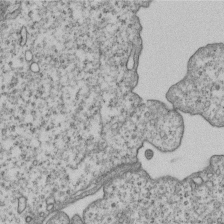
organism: Human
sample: MDA-MB-231 cells